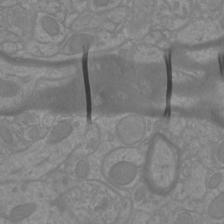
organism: Mouse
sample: Cortical neurons